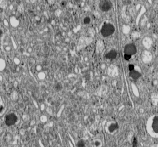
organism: C57BL Mouse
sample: Pancreatic islet